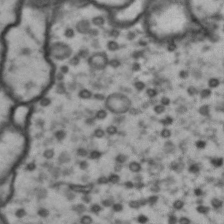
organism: Drosophila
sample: Brain